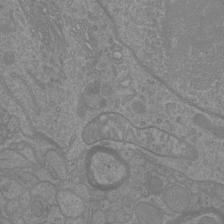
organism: Mouse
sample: Cortical neurons